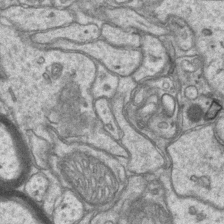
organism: Mouse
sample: CA1 Hippocampus